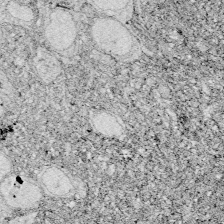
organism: Zebrafish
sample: Whole-Brain